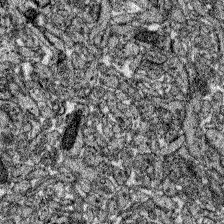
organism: Zebrafish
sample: Larval olfactory bulb